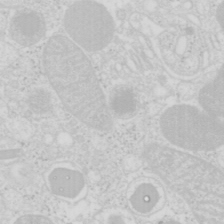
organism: Mouse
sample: Pancreas